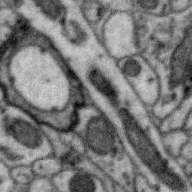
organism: Zebra finch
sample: Brain